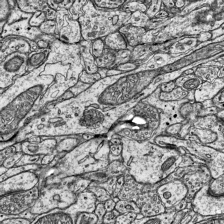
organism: Mouse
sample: Visual Cortex